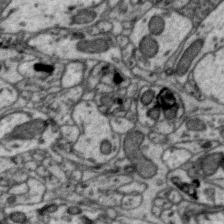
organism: Zebra finch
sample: Brain